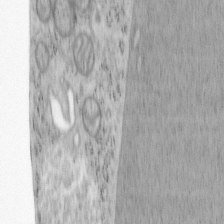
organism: Human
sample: HeLa cells